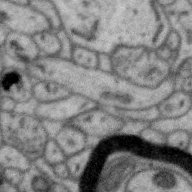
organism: Zebra finch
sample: Brain